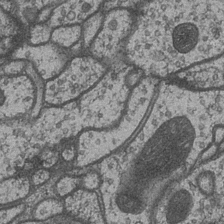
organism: Drosophila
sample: Optic medulla